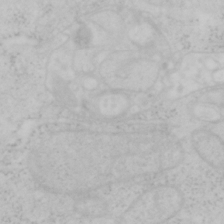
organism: Mouse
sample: OT-I killer T cells with ID8 ovarian cancer cells